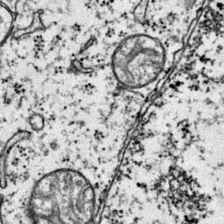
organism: Mouse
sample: Primary visual cortex